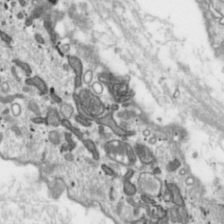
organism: Toxoplasma gondii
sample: Parasites in a vacuole inside a host cell